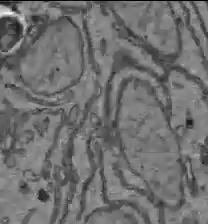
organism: C57BL Mouse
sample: Liver